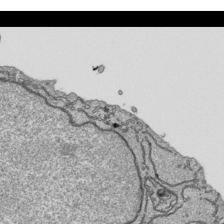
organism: Human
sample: Mitochondria in HCT116 cells